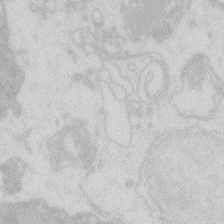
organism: Zebrafish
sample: Macrophage